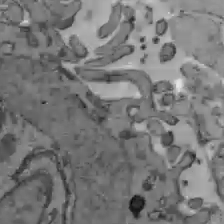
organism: C57BL Mouse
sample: Liver